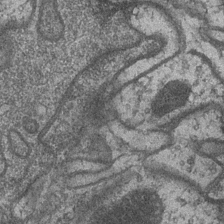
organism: Drosophila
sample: Optic medulla